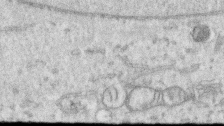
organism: Human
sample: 1205lu cells